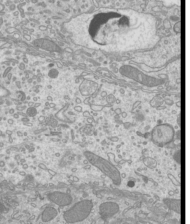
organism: Mouse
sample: Cilia; mouse epididymis